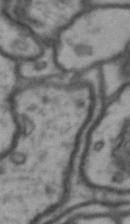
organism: Drosophila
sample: Brain